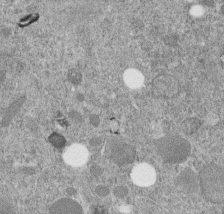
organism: C. elegans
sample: C. elegans embryo early stage